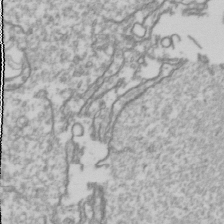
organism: Drosophila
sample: Cell division; meiosis; drosophila spermatocytes